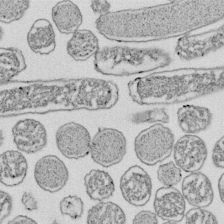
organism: E. coli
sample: Bacterial nucleoid